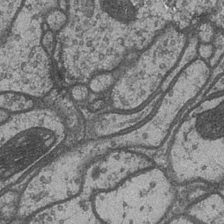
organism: Drosophila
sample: Optic medulla